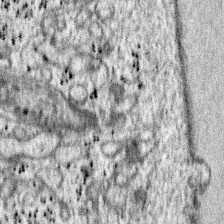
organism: Human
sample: HeLa cells